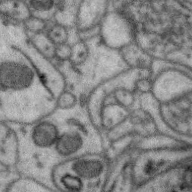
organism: Zebra finch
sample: Brain